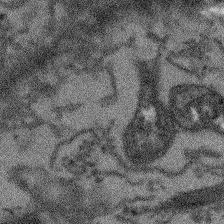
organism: Arabidopsis thaliana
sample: Root tip